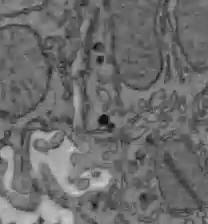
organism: C57BL Mouse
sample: Liver